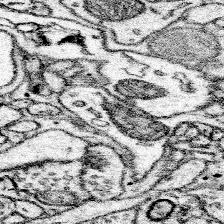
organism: Mouse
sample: Somatosensory cortex neuropil